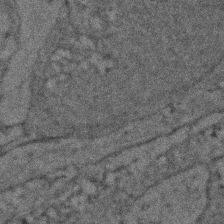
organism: Zebrafish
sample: Zebrafish embryo